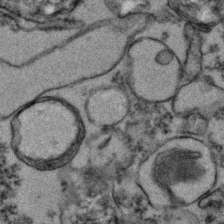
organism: Zebrafish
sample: Zebrafish embryo